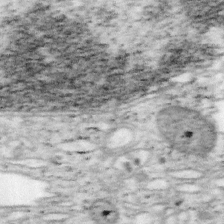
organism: Mouse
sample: OT-I killer T cells with ID8 ovarian cancer cells